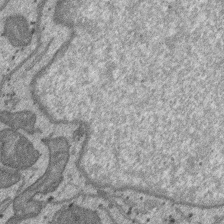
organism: Human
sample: Lung epithelial cells infected with SARS-CoV-2